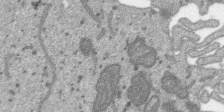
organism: Human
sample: Lung epithelial cells infected with SARS-CoV-2